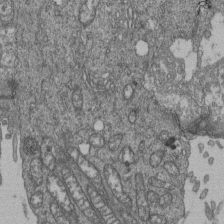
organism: Human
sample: Retinal organoid Rod and Cone cells